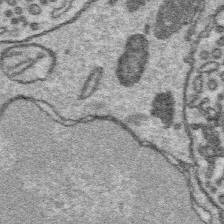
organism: Platynereis dumerilii